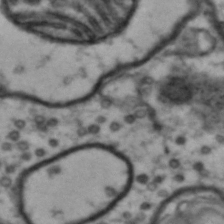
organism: Drosophila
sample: Brain